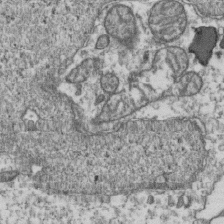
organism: Human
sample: Activated Jurkat CD4+ T cells